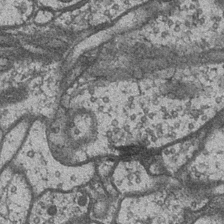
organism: Drosophila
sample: Optic medulla